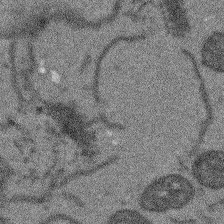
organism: Arabidopsis thaliana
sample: Root tip